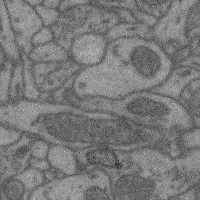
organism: Mouse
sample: Cerebral cortex